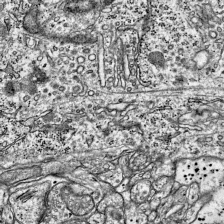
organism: Mouse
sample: Visual Cortex